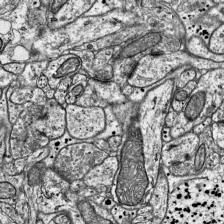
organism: Mouse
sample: Visual Cortex